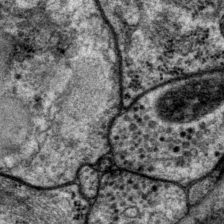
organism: P. pacificus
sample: Pharynx